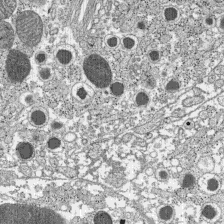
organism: C57BL Mouse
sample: Pancreatic islet